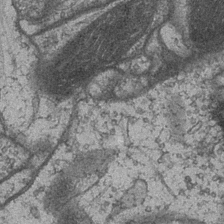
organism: Drosophila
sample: Optic medulla